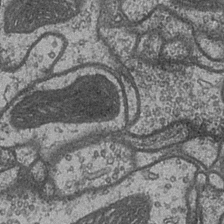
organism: Drosophila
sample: Optic medulla